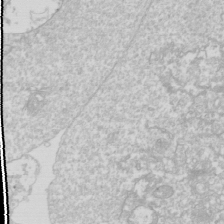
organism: Drosophila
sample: Cell division; meiosis; drosophila spermatocytes